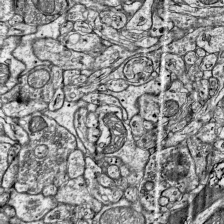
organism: Mouse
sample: Visual Cortex